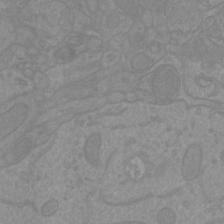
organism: Mouse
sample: Cortical neurons